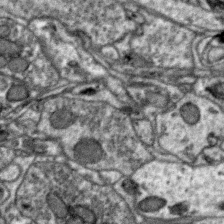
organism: Zebra finch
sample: Brain